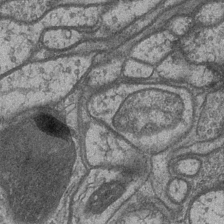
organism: Drosophila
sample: Optic medulla